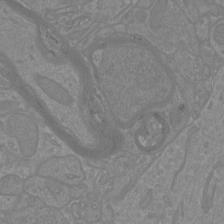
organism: Mouse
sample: Cortical neurons